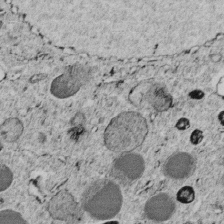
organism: C. elegans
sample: C. elegans embryo early stage